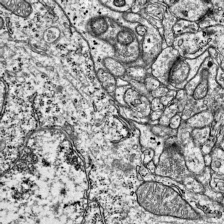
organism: Mouse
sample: Visual Cortex